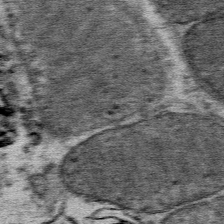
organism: Mouse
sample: Mouse Salivary gland